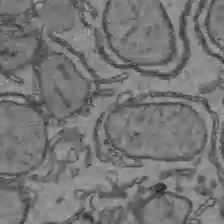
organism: C57BL Mouse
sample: Liver